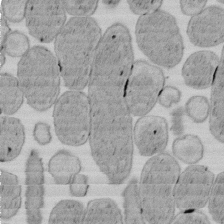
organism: E. coli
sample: Bacterial nucleoid